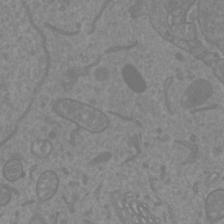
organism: Mouse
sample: Cortical neurons